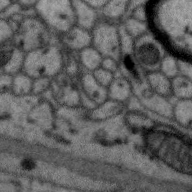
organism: Zebra finch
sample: Brain